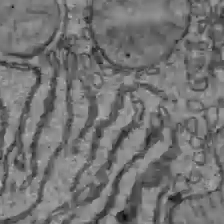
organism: C57BL Mouse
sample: Liver